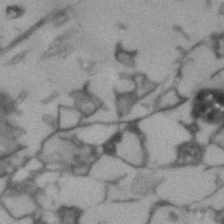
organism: Human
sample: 1205lu cells